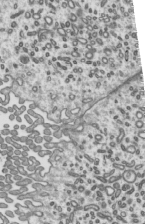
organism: Mouse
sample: Mouse epididymis efferent ductule cilia